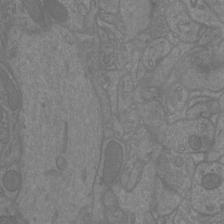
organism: Mouse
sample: Cortical neurons